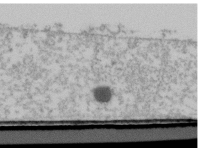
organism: Human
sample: U2-OS cells